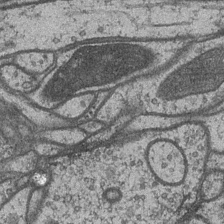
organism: Drosophila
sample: Optic medulla